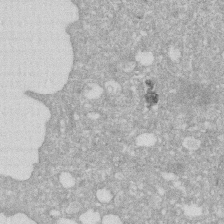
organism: Human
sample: HIV infected U937 cells